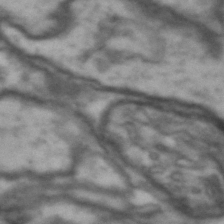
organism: Drosophila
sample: Brain